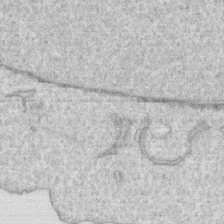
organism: Human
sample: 1205lu cells